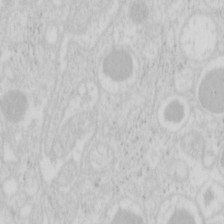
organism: Mouse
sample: Pancreas